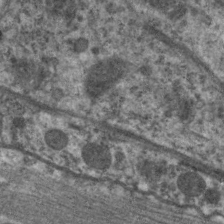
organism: C. elegans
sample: Pharynx